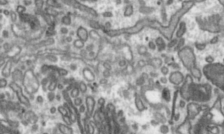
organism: Toxoplasma gondii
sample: Parasites in a vacuole inside a host cell